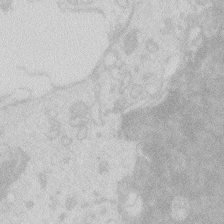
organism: Zebrafish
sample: Macrophage